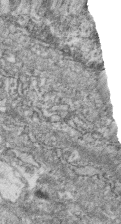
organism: Zebrafish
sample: Cilia; retinal pigment epithelium